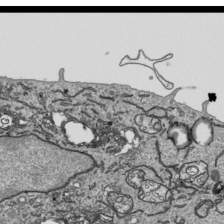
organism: Human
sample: Mitochondria in HCT116 cells